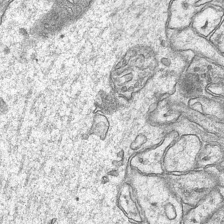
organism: Mouse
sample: CA1 Hippocampus